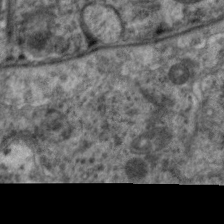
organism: C. elegans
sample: Pharynx